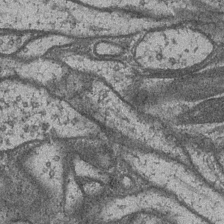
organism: Drosophila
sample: Optic medulla